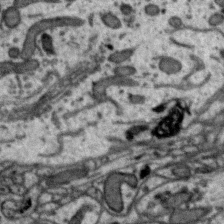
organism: Zebra finch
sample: Brain